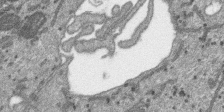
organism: Human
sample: Lung epithelial cells infected with SARS-CoV-2